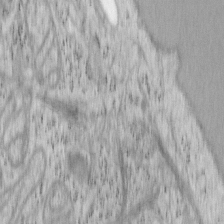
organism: Human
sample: HeLa cells